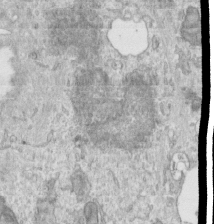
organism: Human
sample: Centriole in RPE cells